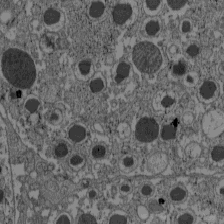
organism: C57BL Mouse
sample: Pancreatic islet